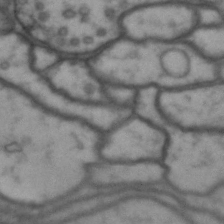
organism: Drosophila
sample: Brain